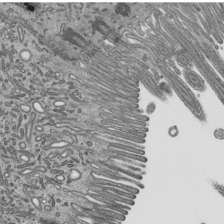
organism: Mouse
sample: Mouse epididymis efferent ductule cilia